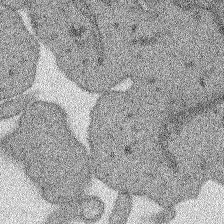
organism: Human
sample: HeLa cells